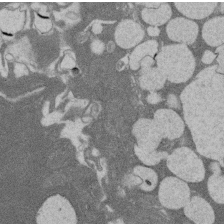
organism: Rat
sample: Salivary granule